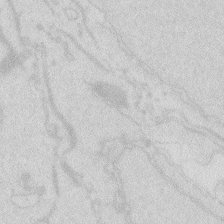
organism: Zebrafish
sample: Macrophage